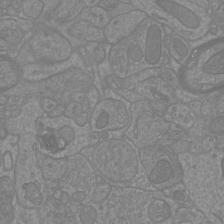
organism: Mouse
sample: Cortical neurons